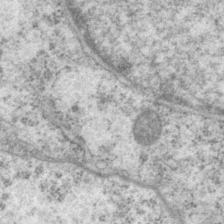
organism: P. pacificus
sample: Pharynx